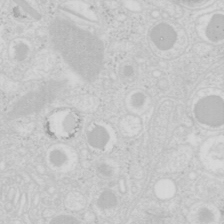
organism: Mouse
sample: Pancreas